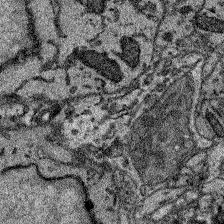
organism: Zebrafish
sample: Larval olfactory bulb